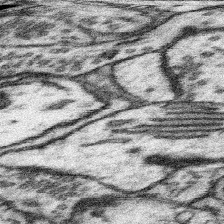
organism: Mouse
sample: Somatosensory cortex neuropil